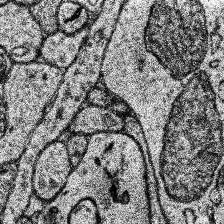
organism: Human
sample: Temporal Lobe